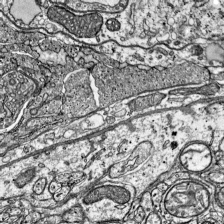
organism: Mouse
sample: Visual Cortex